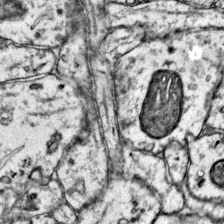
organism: Mouse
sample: Primary visual cortex